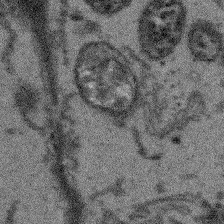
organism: Arabidopsis thaliana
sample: Root tip